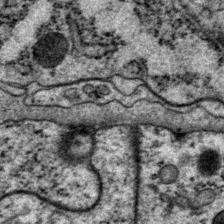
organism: P. pacificus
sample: Pharynx